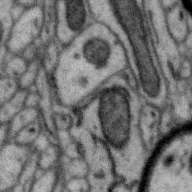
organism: Zebra finch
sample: Brain